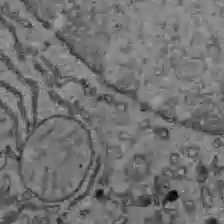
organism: C57BL Mouse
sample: Liver